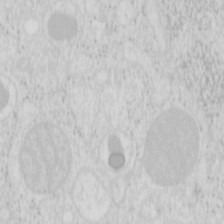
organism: Mouse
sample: Pancreas